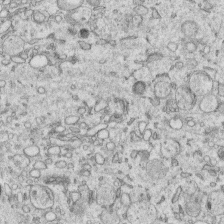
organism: Human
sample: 1205lu cells